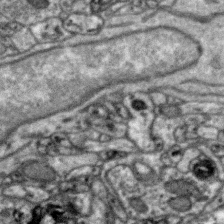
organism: Zebra finch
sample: Brain